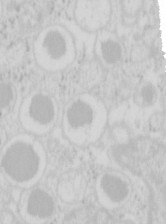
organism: Mouse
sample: Pancreas